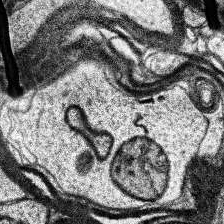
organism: Human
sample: Temporal Lobe